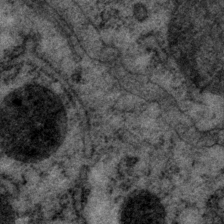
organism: P. pacificus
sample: Pharynx